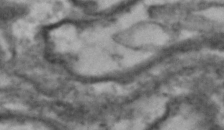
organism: Drosophila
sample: Brain